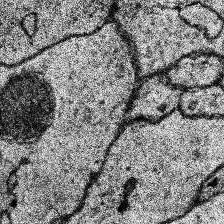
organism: Human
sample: Temporal Lobe